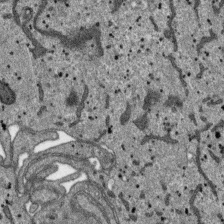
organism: Human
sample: Lung epithelial cells, uninfected (mock) control